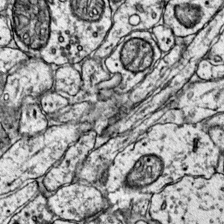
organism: Mouse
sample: Primary visual cortex